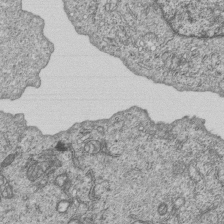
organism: Human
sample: MDA-MB-231 cells